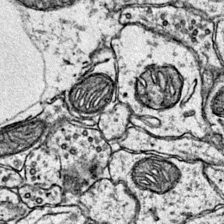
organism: Mouse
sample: Primary visual cortex